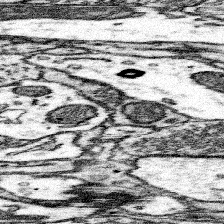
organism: Mouse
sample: Somatosensory cortex neuropil